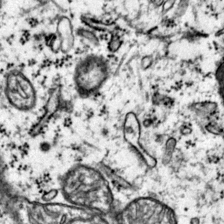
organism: Mouse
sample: Primary visual cortex